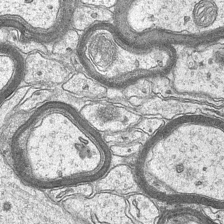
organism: Mouse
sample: CA1 Hippocampus